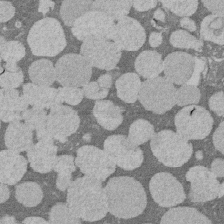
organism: Rat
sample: Salivary granule